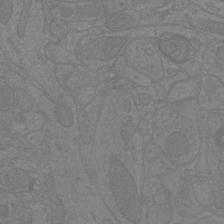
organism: Mouse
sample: Cortical neurons